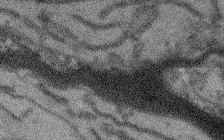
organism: Arabidopsis thaliana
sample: Root tip